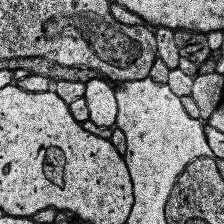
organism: Human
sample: Temporal Lobe